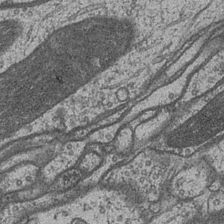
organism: Drosophila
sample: Optic medulla